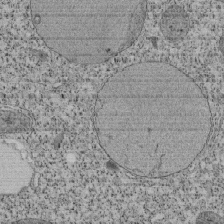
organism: Tetrahymena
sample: Cilia in tetrahymena